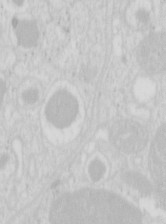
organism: Mouse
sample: Pancreas